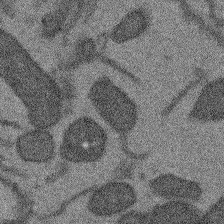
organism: Arabidopsis thaliana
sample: Root tip